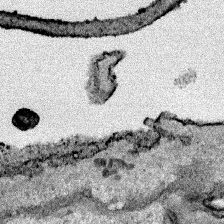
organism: Human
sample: Mitochondria in HCT116 cells